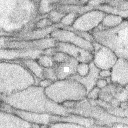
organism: Rabbit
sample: Retina